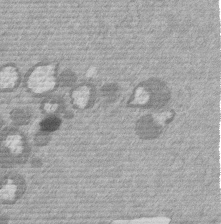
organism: Mouse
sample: Dividing mouse embryo 1 cell stage